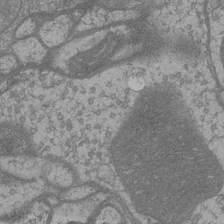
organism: Drosophila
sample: Optic medulla